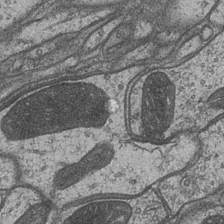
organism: Drosophila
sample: Optic medulla